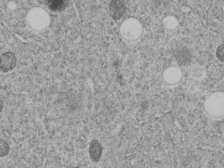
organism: C. elegans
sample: C. elegans embryo early stage